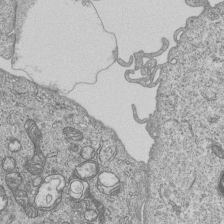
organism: Human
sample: MDA-MB-231 cells